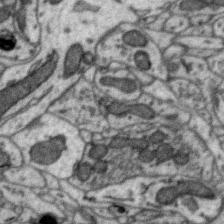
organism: Zebra finch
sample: Brain